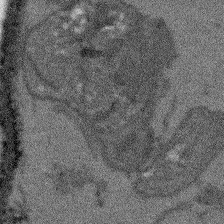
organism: Arabidopsis thaliana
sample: Root tip